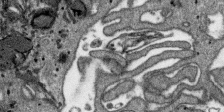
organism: Human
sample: Lung epithelial cells, uninfected (mock) control